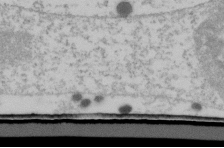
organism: Human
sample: U2-OS cells